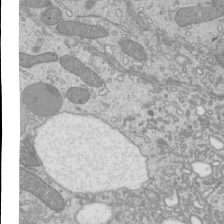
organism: Mouse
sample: Cilia; mouse epididymis